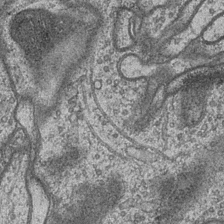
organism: Drosophila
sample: Optic medulla